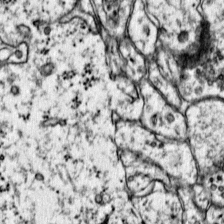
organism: Mouse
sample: Primary visual cortex